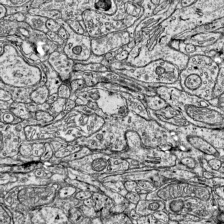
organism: Mouse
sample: Visual Cortex